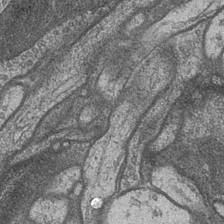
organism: Drosophila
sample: Optic medulla